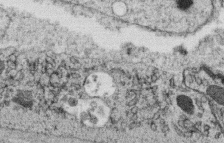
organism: C. elegans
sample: C. elegans oocyte; sperm cells